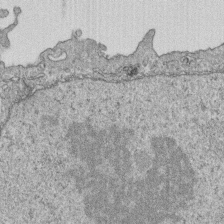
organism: Human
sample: HeLa cell HIV synapse